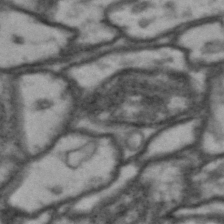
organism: Drosophila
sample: Brain